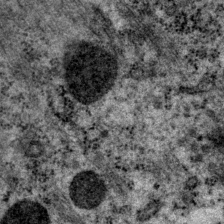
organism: P. pacificus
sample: Pharynx